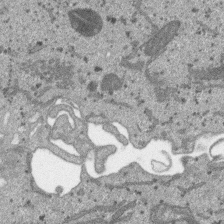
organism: Human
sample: Lung epithelial cells infected with SARS-CoV-2